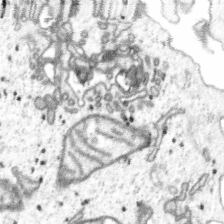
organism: Human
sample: HeLa cells